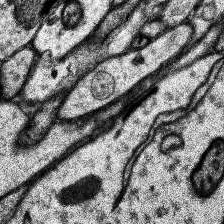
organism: Human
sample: Temporal Lobe